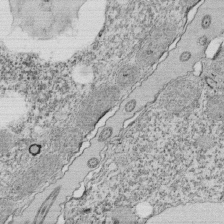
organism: Tetrahymena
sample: Cilia in tetrahymena